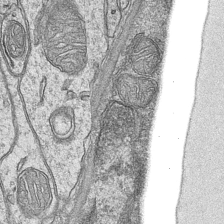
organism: Mouse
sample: CA1 Hippocampus